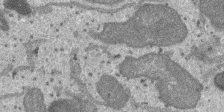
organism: Human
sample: Lung epithelial cells infected with SARS-CoV-2